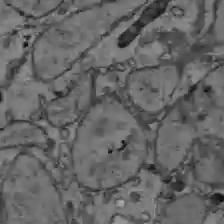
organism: C57BL Mouse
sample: Liver